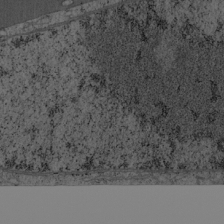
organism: African green monkey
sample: COS-7 cells